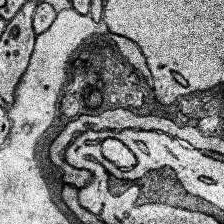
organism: Human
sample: Temporal Lobe